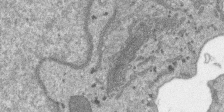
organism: Human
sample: Lung epithelial cells infected with SARS-CoV-2